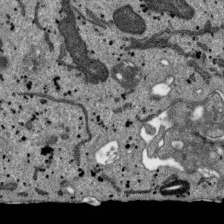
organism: Human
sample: Lung epithelial cells, uninfected (mock) control